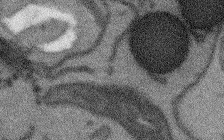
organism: Arabidopsis thaliana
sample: Root tip